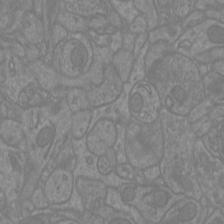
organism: Mouse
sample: Cortical neurons